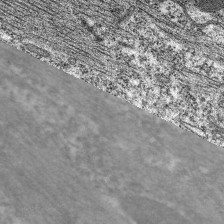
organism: C. elegans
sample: Pharynx